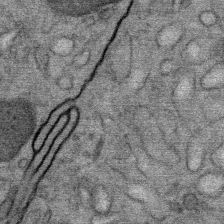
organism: Mouse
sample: Mouse Salivary gland